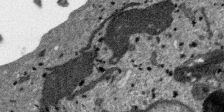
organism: Human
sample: Lung epithelial cells, uninfected (mock) control